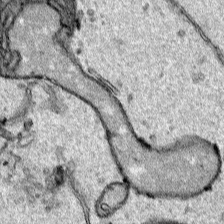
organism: Human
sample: Mitochondria in HCT116 cells